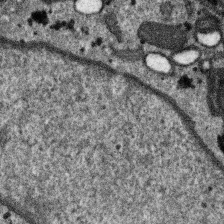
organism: Human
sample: Lung epithelial cells infected with SARS-CoV-2